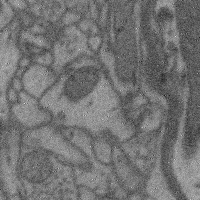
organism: Mouse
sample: Cerebral cortex